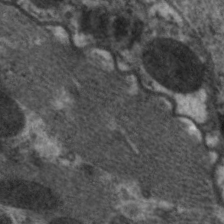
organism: C. elegans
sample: Pharynx